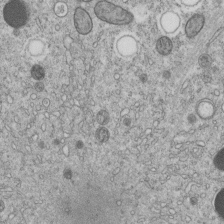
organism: C. elegans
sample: C. elegans embryo early stage